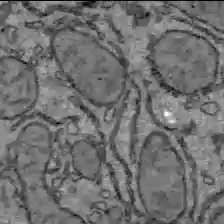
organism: C57BL Mouse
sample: Liver